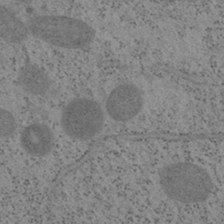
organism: Mouse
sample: OT-I killer T cells with ID8 ovarian cancer cells